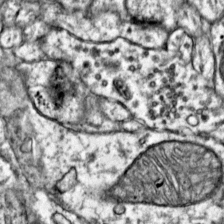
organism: Mouse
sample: Primary visual cortex